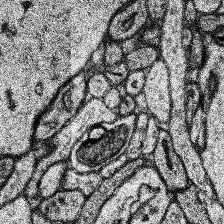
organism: Human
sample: Temporal Lobe